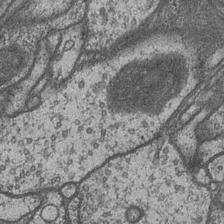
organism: Drosophila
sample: Optic medulla